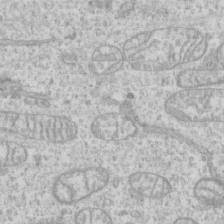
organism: Human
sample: CRL-1474